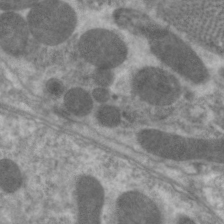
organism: C. elegans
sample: Pharynx